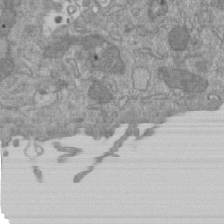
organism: Mouse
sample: ED-1 cell nuclei; centrioles